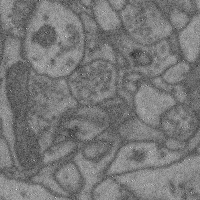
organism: Mouse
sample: Cerebral cortex